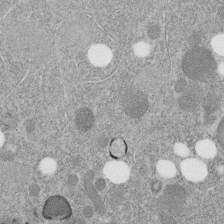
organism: C. elegans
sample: C. elegans embryo early stage